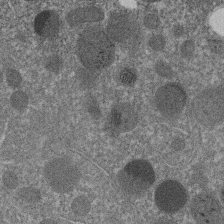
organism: C. elegans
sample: C. elegans embryo early stage